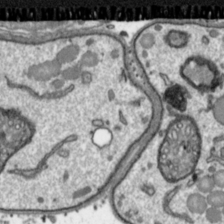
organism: Toxoplasma gondii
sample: Parasites in a vacuole inside a host cell